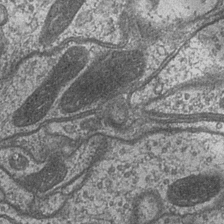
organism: Drosophila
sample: Optic medulla